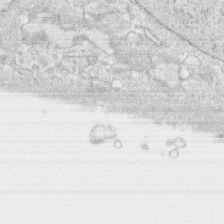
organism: Human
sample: CRL-1474